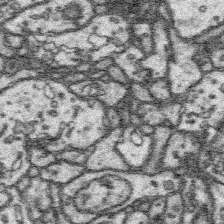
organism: Platynereis dumerilii